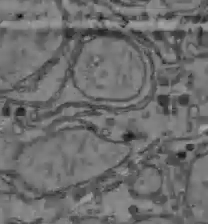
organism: C57BL Mouse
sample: Liver